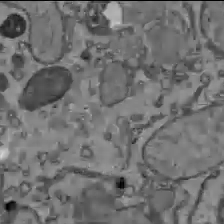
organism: C57BL Mouse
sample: Liver